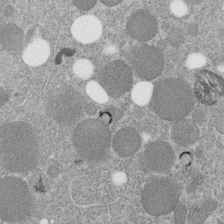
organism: C. elegans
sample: C. elegans embryo early stage